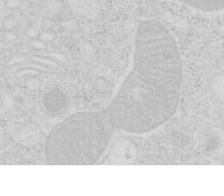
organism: Mouse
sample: Pancreas